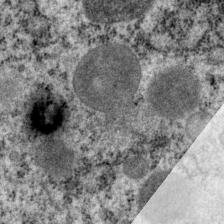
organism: P. pacificus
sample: Pharynx